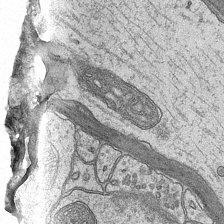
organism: Mouse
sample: CA1 Hippocampus